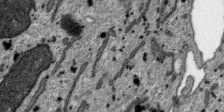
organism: Human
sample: Lung epithelial cells, uninfected (mock) control